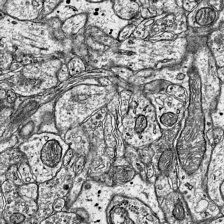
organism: Mouse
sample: Visual Cortex